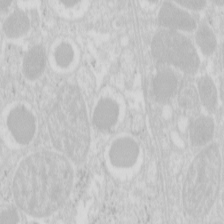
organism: Mouse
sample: Pancreas